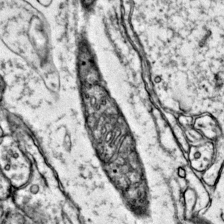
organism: Mouse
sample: Primary visual cortex